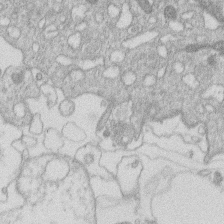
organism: Human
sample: Macrophage cells